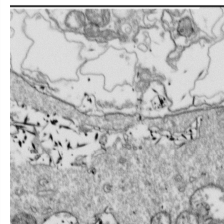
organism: Drosophila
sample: Cell division; meiosis; drosophila spermatocytes